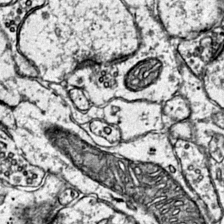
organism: Mouse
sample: Primary visual cortex